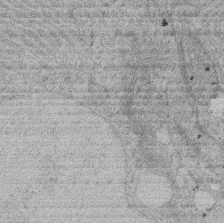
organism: Rat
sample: Salivary granule